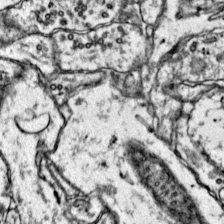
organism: Mouse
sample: Primary visual cortex